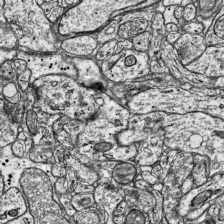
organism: Mouse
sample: Visual Cortex